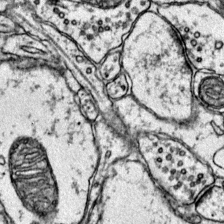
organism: Mouse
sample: Primary visual cortex